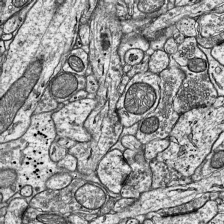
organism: Mouse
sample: Visual Cortex